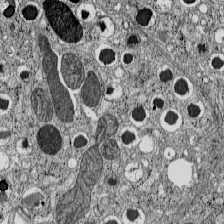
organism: C57BL Mouse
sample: Pancreatic islet